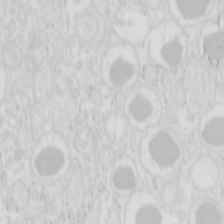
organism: Mouse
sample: Pancreas